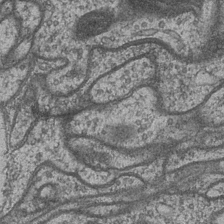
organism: Drosophila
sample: Optic medulla